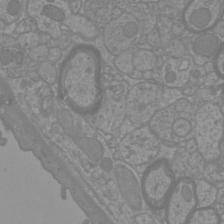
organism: Mouse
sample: Cortical neurons